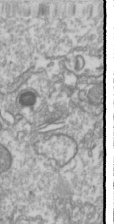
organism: Drosophila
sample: Cell division; meiosis; drosophila spermatocytes